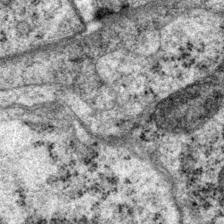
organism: P. pacificus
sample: Pharynx